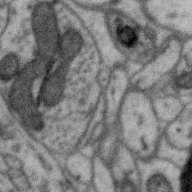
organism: Zebra finch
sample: Brain